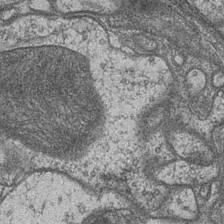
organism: Drosophila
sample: Optic medulla